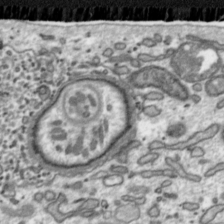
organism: Toxoplasma gondii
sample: Parasites in a vacuole inside a host cell